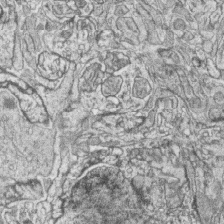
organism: Zebrafish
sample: synaptic ribbons in rod cells and cone cells